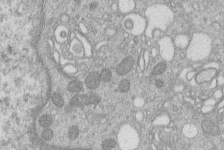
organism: Human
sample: Macrophage cells